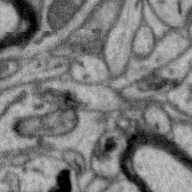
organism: Zebra finch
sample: Brain